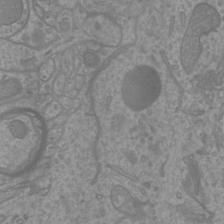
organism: Mouse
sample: Cortical neurons